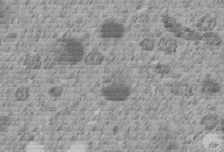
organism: C. elegans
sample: C. elegans embryo early stage